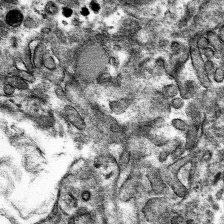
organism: Mouse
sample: Mouse hepatocytes